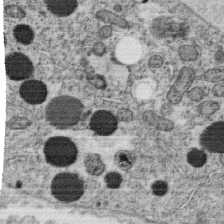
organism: C. elegans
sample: C. elegans oocyte; sperm cells